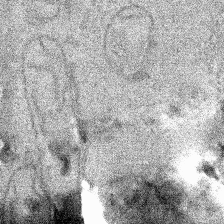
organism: Human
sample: Mitochondria in HCT116 cells